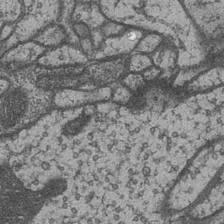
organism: Drosophila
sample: Optic medulla